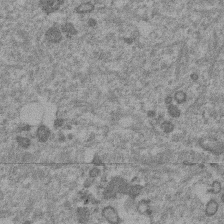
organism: Mouse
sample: Dividing mouse embryo 1 cell stage